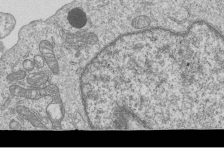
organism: Human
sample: MDA-MB-231 cells